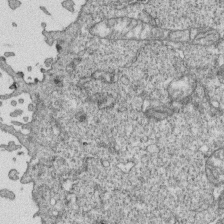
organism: Human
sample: HeLa cell HIV synapse